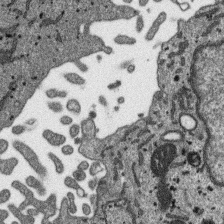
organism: Human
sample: Lung epithelial cells infected with SARS-CoV-2